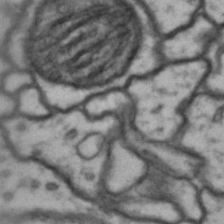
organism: Drosophila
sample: Brain